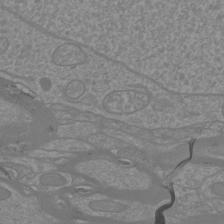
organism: Mouse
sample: Cortical neurons